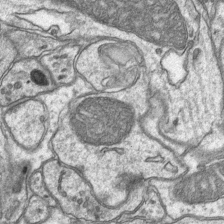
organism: Mouse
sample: CA1 Hippocampus